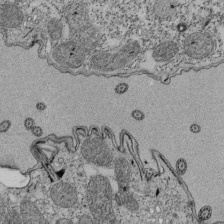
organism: Tetrahymena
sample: Cilia in tetrahymena